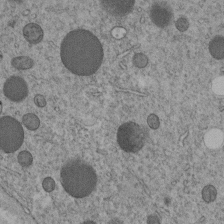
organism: C. elegans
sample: C. elegans embryo early stage